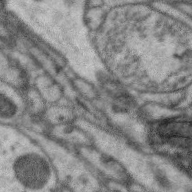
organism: Zebra finch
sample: Brain